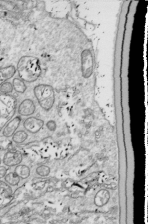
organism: Drosophila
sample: Cell division; meiosis; drosophila spermatocytes